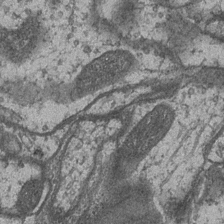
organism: Drosophila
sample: Optic medulla